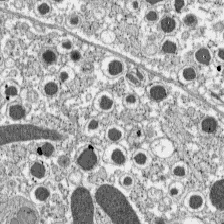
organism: C57BL Mouse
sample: Pancreatic islet